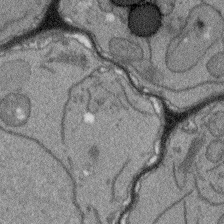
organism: Arabidopsis thaliana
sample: Root tip